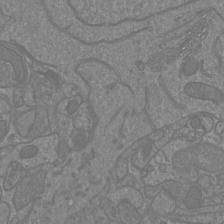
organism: Mouse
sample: Cortical neurons